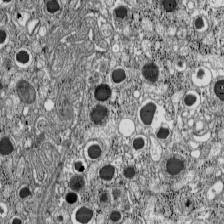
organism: C57BL Mouse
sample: Pancreatic islet